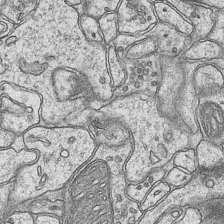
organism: Mouse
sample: CA1 Hippocampus